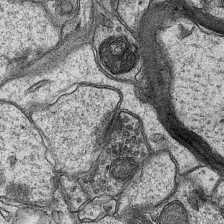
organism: Mouse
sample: CA1 Hippocampus